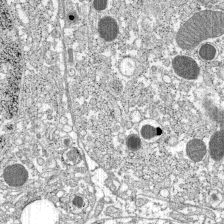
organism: C57BL Mouse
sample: Pancreatic islet